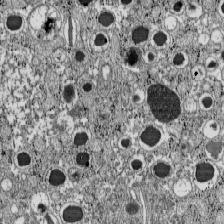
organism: C57BL Mouse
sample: Pancreatic islet